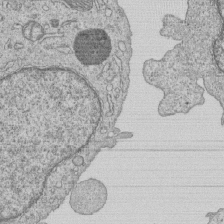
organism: Human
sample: MDA-MB-231 cells